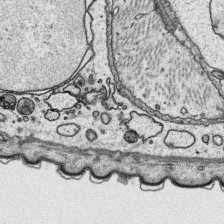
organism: Platynereis dumerilii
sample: Parapodia